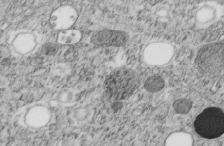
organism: C. elegans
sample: C. elegans embryo early stage